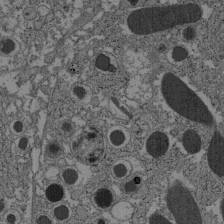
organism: C57BL Mouse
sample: Pancreatic islet